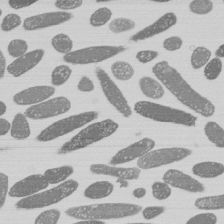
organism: E. coli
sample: Bacterial nucleoid